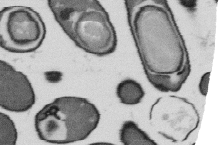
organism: B. subtilis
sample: Bacterial spore